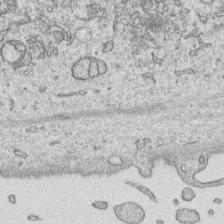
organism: Human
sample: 1205lu cells